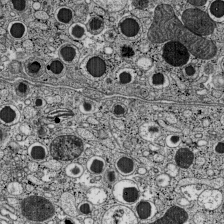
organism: C57BL Mouse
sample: Pancreatic islet